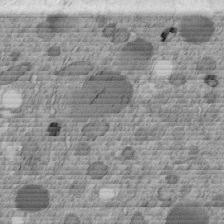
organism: C. elegans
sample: C. elegans embryo early stage